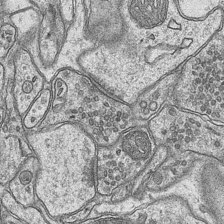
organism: Mouse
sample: CA1 Hippocampus